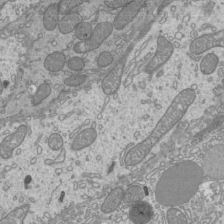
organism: Mouse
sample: Cilia; mouse epididymis